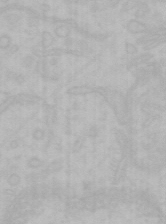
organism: Mouse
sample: Choroid plexus